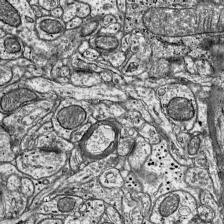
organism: Mouse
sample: Visual Cortex